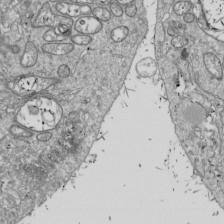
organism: Drosophila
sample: Cell division; meiosis; drosophila spermatocytes